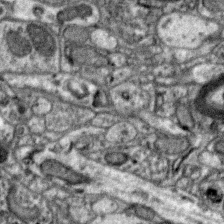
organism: Zebra finch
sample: Brain